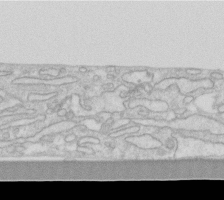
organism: Human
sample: Fibroblast cells